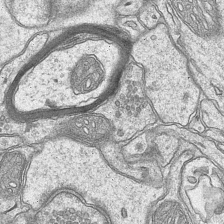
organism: Mouse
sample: CA1 Hippocampus